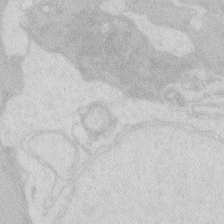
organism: Zebrafish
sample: Macrophage